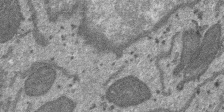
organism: Human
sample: Lung epithelial cells infected with SARS-CoV-2